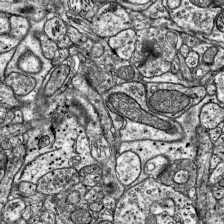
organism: Mouse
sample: Visual Cortex